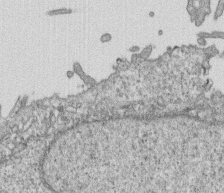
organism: Human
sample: HeLa cell HIV synapse